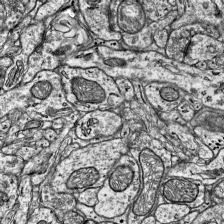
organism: Mouse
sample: Visual Cortex